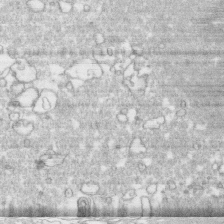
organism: Human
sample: CRL-1474